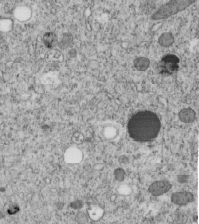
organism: C. elegans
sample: C. elegans embryo early stage